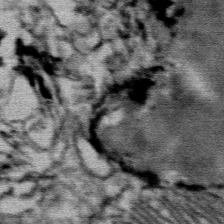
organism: Mouse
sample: Mouse Salivary gland